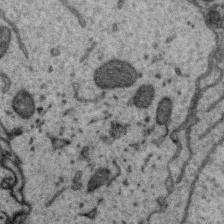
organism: Zebra finch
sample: Brain